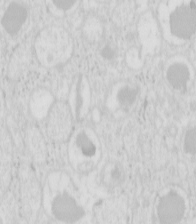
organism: Mouse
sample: Pancreas